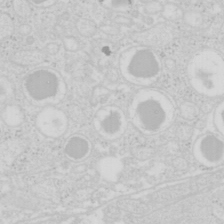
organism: Mouse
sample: Pancreas